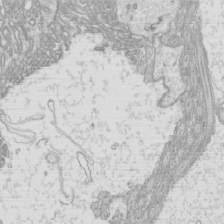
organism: Mouse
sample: Cilia; mouse epididymis